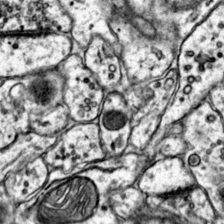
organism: Mouse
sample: Primary visual cortex